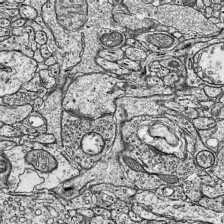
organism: Mouse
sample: Visual Cortex